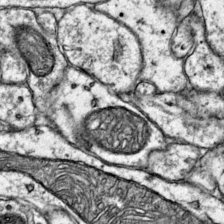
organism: Mouse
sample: Primary visual cortex